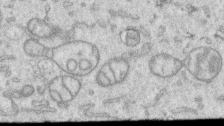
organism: Human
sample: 1205lu cells